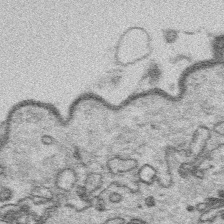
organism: Platynereis dumerilii